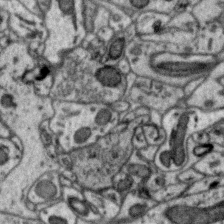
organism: Zebra finch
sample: Brain